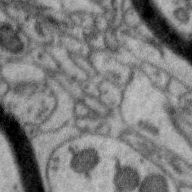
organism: Zebra finch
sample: Brain